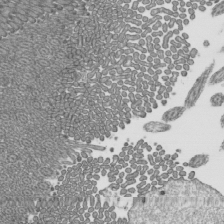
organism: Mouse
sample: Mouse epididymis efferent ductule cilia